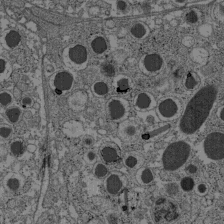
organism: C57BL Mouse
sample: Pancreatic islet